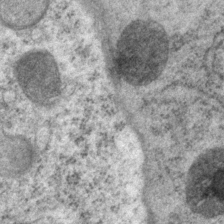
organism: P. pacificus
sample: Pharynx